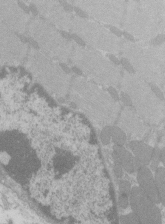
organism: C57BL Mouse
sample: Tibialis anterior muscle cell